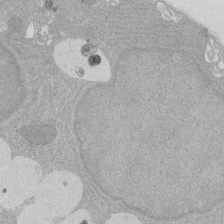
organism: Rat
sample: Salivary granule